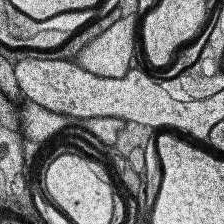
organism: Human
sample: Temporal Lobe